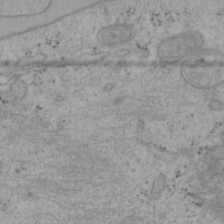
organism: Human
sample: HeLa cells